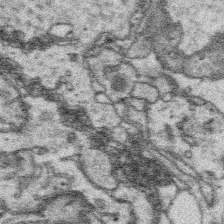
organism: Platynereis dumerilii